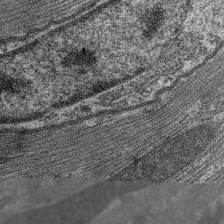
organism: C. elegans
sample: Pharynx